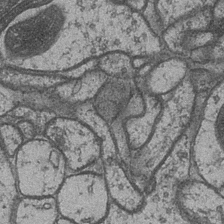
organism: Drosophila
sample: Optic medulla